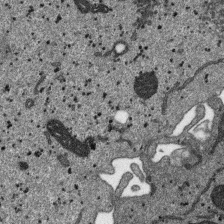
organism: Human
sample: Lung epithelial cells infected with SARS-CoV-2